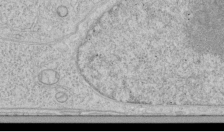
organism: Human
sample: Mitochondria in HCT116 cells